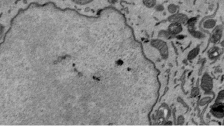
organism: Mouse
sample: ED-1 cell nuclei; centrioles